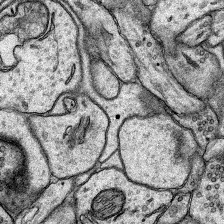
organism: Rat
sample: Hippocampus